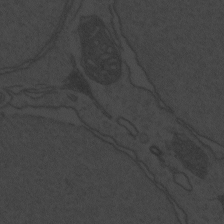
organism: Zebrafish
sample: Macrophage infected with Toxoplasma gondii